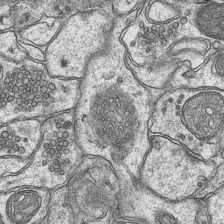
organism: Mouse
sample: CA1 Hippocampus